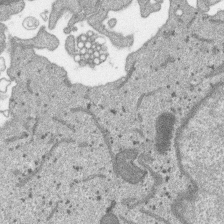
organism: Human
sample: Lung epithelial cells infected with SARS-CoV-2